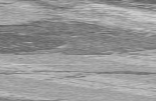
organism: C57BL Mouse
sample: Heart